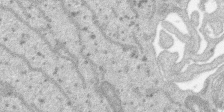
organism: Human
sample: Lung epithelial cells infected with SARS-CoV-2